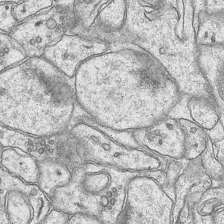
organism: Mouse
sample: CA1 Hippocampus